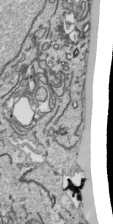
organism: Human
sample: Mitochondria in HCT116 cells